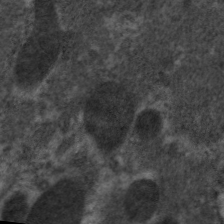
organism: C. elegans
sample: Pharynx